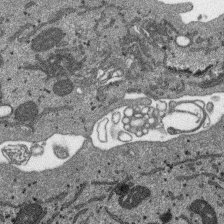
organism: Human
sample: Lung epithelial cells infected with SARS-CoV-2